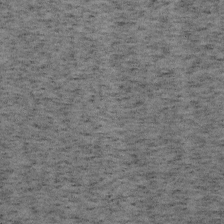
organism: Mouse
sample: OT-I killer T cells with ID8 ovarian cancer cells